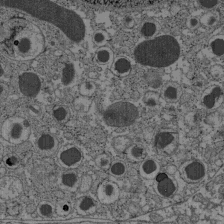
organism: C57BL Mouse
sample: Pancreatic islet